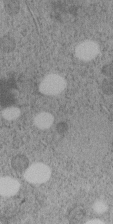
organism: C. elegans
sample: C. elegans embryo early stage